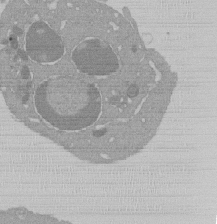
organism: Mouse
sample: Activated Pmel transgenic CD8+ T Cells